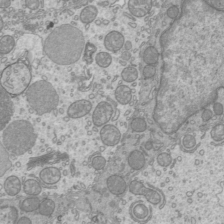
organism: Mouse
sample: Cilia; mouse epididymis